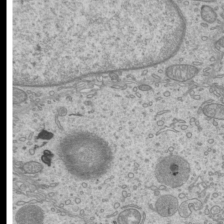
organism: Mouse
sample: Cilia; mouse epididymis